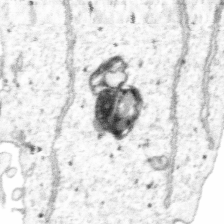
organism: Human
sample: HeLa cells